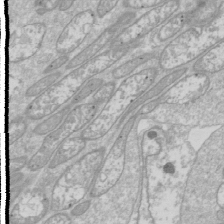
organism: Drosophila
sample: Cell division; meiosis; drosophila spermatocytes